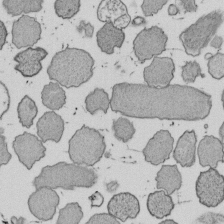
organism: E. coli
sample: Bacterial nucleoid